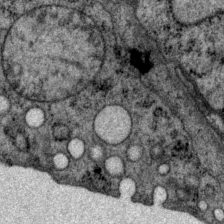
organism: P. pacificus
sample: Pharynx